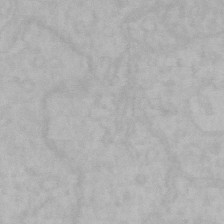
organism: Mouse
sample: Choroid plexus